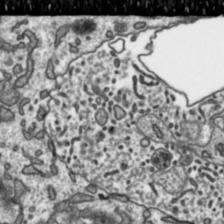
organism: Toxoplasma gondii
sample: Parasites in a vacuole inside a host cell